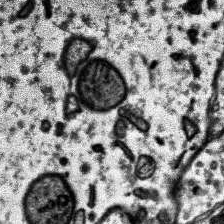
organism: Human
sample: Temporal Lobe